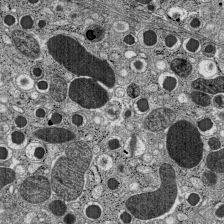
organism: C57BL Mouse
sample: Pancreatic islet